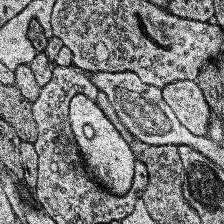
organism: Human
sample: Temporal Lobe